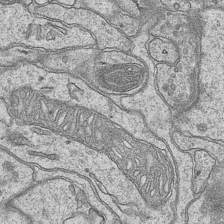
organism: Mouse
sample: CA1 Hippocampus